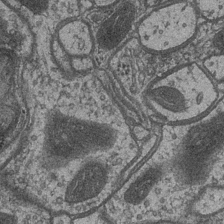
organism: Drosophila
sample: Optic medulla